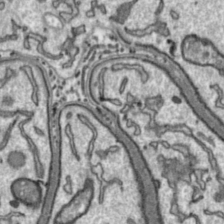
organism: Toxoplasma gondii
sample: Parasites in a vacuole inside a host cell